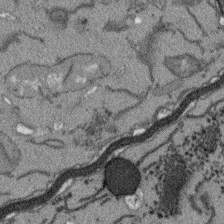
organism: Arabidopsis thaliana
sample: Root tip